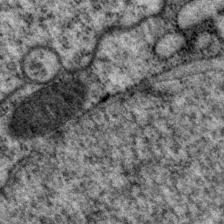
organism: P. pacificus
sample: Pharynx